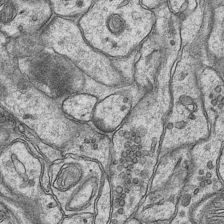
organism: Mouse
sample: CA1 Hippocampus